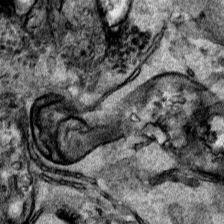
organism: Human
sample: Mitochondria in HCT116 cells